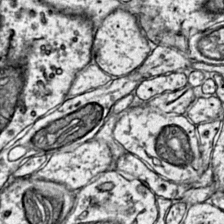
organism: Mouse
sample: Primary visual cortex